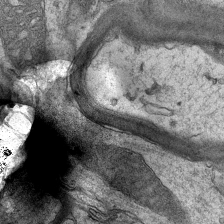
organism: Mouse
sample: CA1 Hippocampus